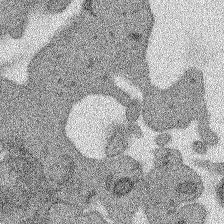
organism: Human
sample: HeLa cells